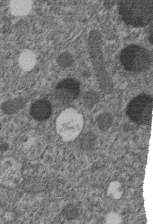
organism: C. elegans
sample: C. elegans embryo early stage